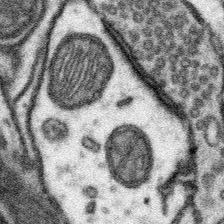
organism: Mouse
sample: Somatosensory cortex neuropil